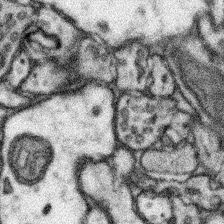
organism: Mouse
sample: Somatosensory cortex neuropil